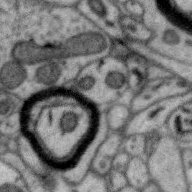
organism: Zebra finch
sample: Brain